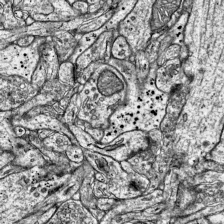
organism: Mouse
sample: Visual Cortex